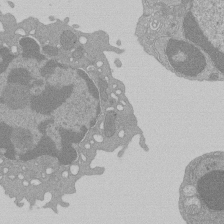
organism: Mouse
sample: Activated Pmel transgenic CD8+ T Cells